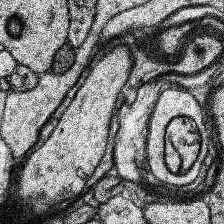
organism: Human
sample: Temporal Lobe